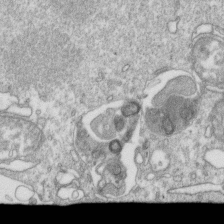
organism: Mouse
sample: Activated OT-1 CD8+ T cells